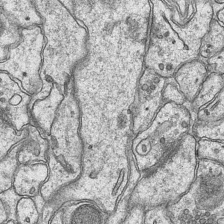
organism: Mouse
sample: CA1 Hippocampus